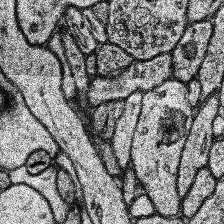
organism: Human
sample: Temporal Lobe